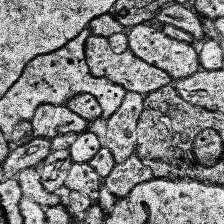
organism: Human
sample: Temporal Lobe